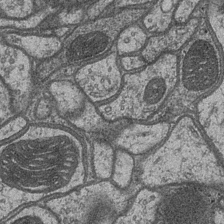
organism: Drosophila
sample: Optic medulla